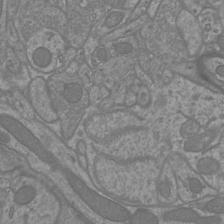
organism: Mouse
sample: Cortical neurons